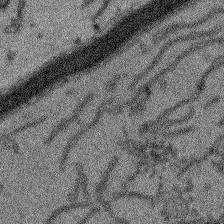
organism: Arabidopsis thaliana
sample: Root tip